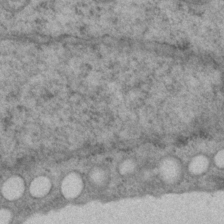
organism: P. pacificus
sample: Pharynx